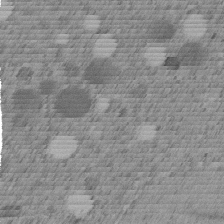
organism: C. elegans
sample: C. elegans embryo early stage